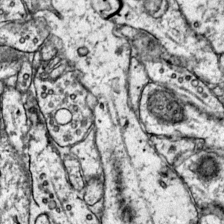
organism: Mouse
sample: Primary visual cortex